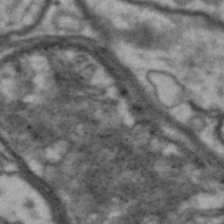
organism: Drosophila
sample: Brain